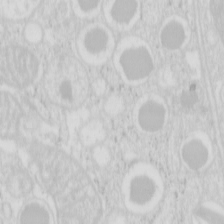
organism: Mouse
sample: Pancreas